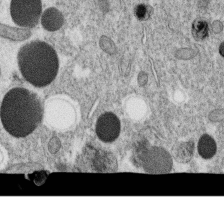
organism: C. elegans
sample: C. elegans oocyte; sperm cells